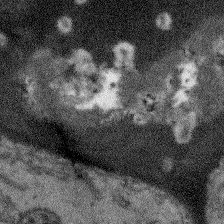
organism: Arabidopsis thaliana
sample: Root tip